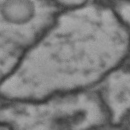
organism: Drosophila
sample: Brain